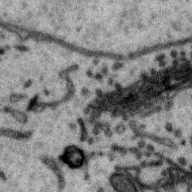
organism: Zebra finch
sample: Brain